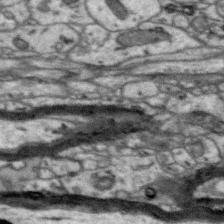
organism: Zebra finch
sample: Brain